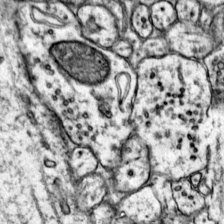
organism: Mouse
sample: Primary visual cortex